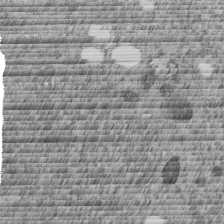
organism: C. elegans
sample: C. elegans embryo early stage